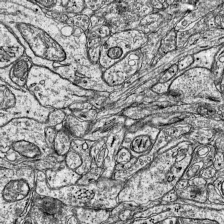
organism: Mouse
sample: Visual Cortex